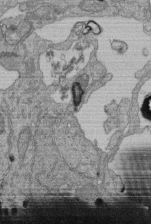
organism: Human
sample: Retinal organoid Rod and Cone cells